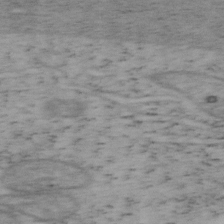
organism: Mouse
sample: OT-I killer T cells with ID8 ovarian cancer cells